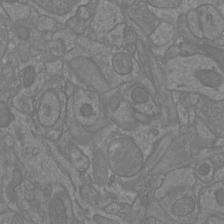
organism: Mouse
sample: Cortical neurons